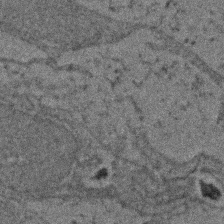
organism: Zebrafish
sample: Zebrafish embryo